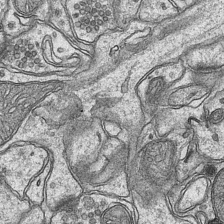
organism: Mouse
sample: CA1 Hippocampus